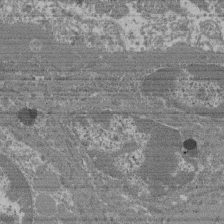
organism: Mouse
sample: Glomerulus